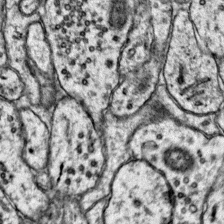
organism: Mouse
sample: Primary visual cortex